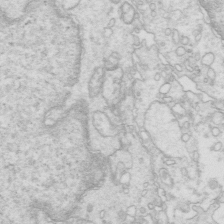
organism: Mouse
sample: Multiciliated cells